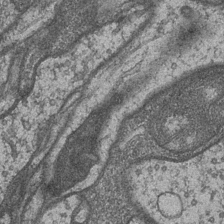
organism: Drosophila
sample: Optic medulla